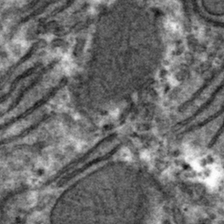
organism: Mouse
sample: Mouse hepatocytes